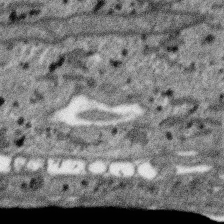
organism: Human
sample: Lung epithelial cells infected with SARS-CoV-2